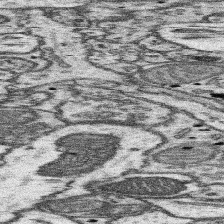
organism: Mouse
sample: Somatosensory cortex neuropil